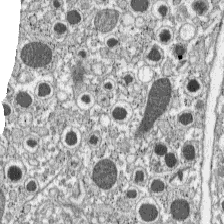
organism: C57BL Mouse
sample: Pancreatic islet